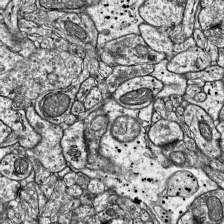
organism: Mouse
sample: Visual Cortex